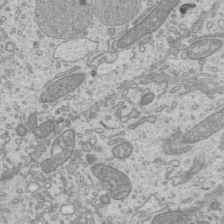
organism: Mouse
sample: Cilia; mouse epididymis